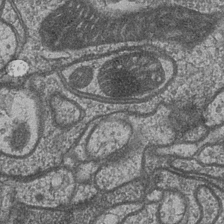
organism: Drosophila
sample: Optic medulla